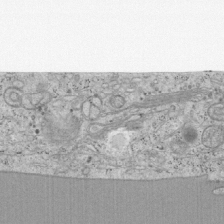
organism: Human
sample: HeLa cells